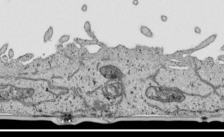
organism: Human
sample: Mitochondria in HCT116 cells